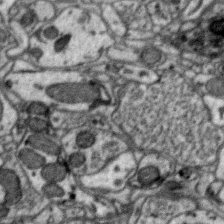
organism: Zebra finch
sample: Brain